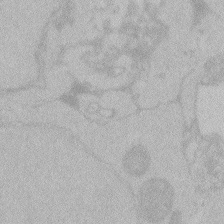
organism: Zebrafish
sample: Macrophage infected with Toxoplasma gondii